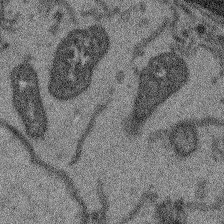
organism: Arabidopsis thaliana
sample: Root tip